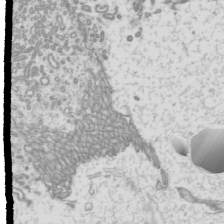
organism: Mouse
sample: Cilia; mouse epididymis